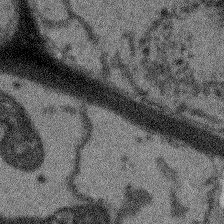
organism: Arabidopsis thaliana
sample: Root tip